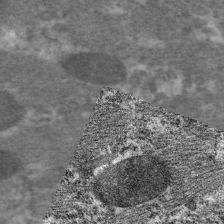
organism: C. elegans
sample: Pharynx